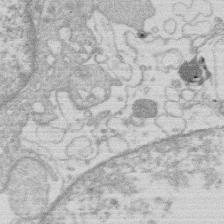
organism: Human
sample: Macrophage cells